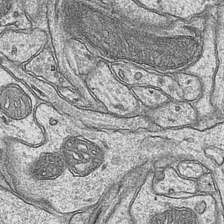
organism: Mouse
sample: CA1 Hippocampus